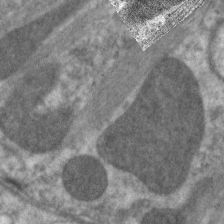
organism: C. elegans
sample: Pharynx